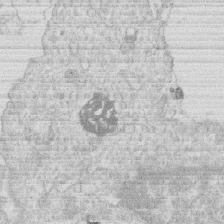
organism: Human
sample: Macrophage cells